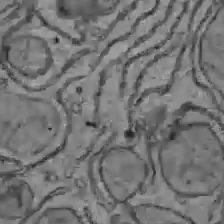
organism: C57BL Mouse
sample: Liver